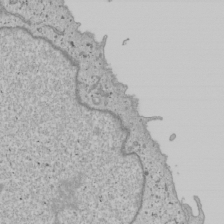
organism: Human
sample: Mitochondria in U2OS cells